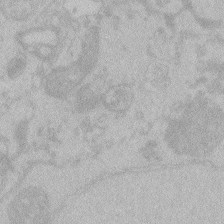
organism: Zebrafish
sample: Macrophage infected with Toxoplasma gondii